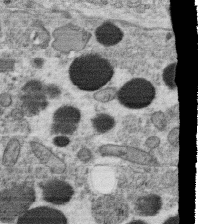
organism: C. elegans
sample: C. elegans oocyte; sperm cells